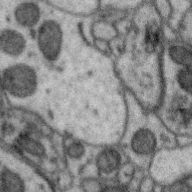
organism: Zebra finch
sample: Brain